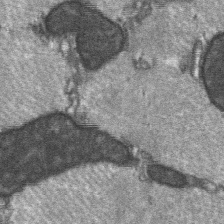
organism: C57BL Mouse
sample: Soleus